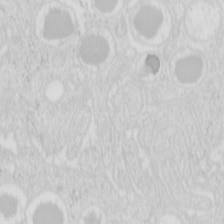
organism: Mouse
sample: Pancreas